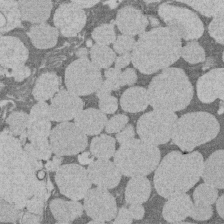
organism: Rat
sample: Salivary granule